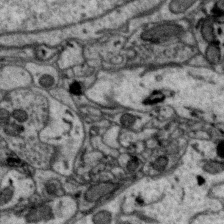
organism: Zebra finch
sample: Brain